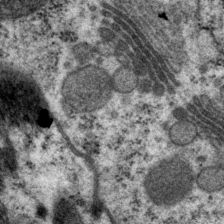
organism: P. pacificus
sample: Pharynx